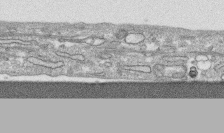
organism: Human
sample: CRL-1474